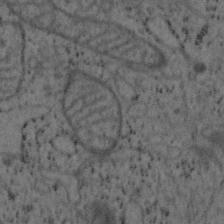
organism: Human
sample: HeLa cells